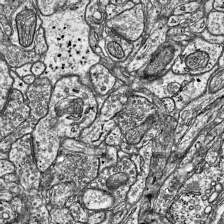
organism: Mouse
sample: Visual Cortex